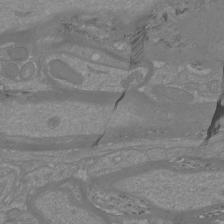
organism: Mouse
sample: Cortical neurons